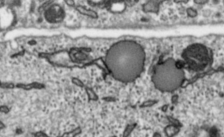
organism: Toxoplasma gondii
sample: Parasites in a vacuole inside a host cell